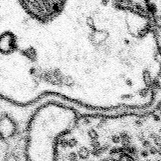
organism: Mouse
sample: Somatosensory cortex neuropil